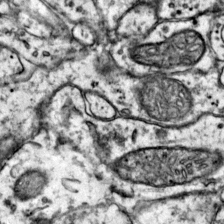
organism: Mouse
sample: Primary visual cortex